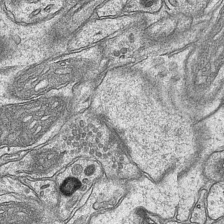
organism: Mouse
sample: CA1 Hippocampus